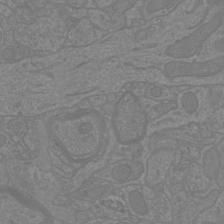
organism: Mouse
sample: Cortical neurons